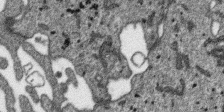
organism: Human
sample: Lung epithelial cells infected with SARS-CoV-2